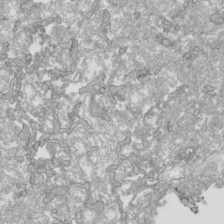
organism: Human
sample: Mitochondria in HCT116 cells